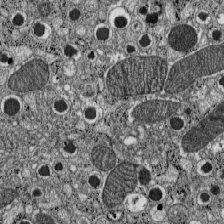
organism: C57BL Mouse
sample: Pancreatic islet